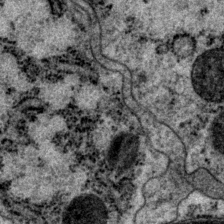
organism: P. pacificus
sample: Pharynx